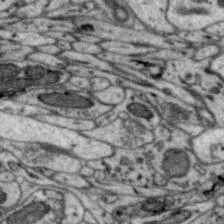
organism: Zebra finch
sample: Brain